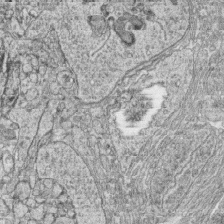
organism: Zebrafish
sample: synaptic ribbons in rod cells and cone cells